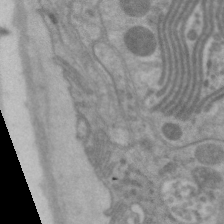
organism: C. elegans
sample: Pharynx